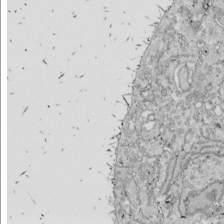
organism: Drosophila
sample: Cell division; meiosis; drosophila spermatocytes